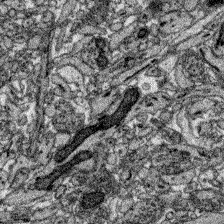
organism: Zebrafish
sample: Larval olfactory bulb